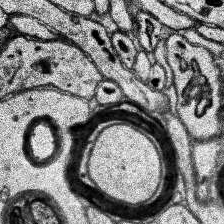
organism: Human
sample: Temporal Lobe